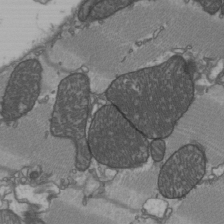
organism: C57BL Mouse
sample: Heart